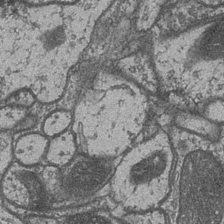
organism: Drosophila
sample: Optic medulla